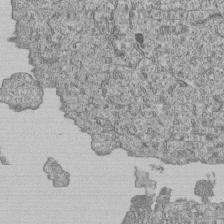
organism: Human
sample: MDA-MB-231 cells